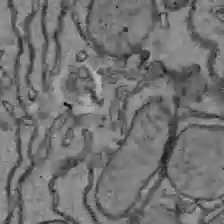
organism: C57BL Mouse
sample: Liver